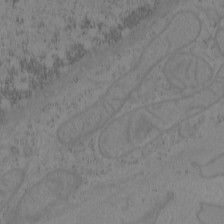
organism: Human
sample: HeLa cells